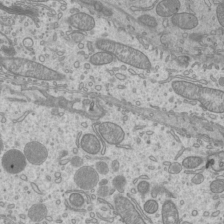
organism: Mouse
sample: Cilia; mouse epididymis